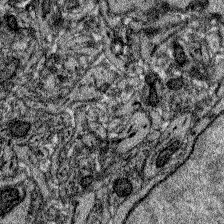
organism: Zebrafish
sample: Larval olfactory bulb